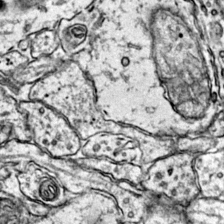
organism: Mouse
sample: Primary visual cortex